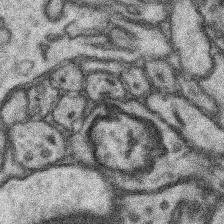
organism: Mouse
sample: Somatosensory cortex neuropil